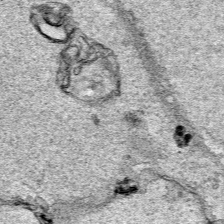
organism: Human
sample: Mitochondria in HCT116 cells